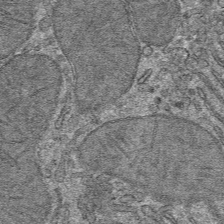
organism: Mouse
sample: Mouse hepatocytes